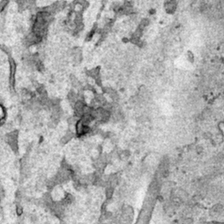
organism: Human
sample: Mitochondria in HCT116 cells